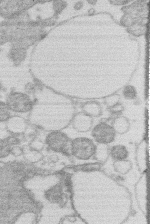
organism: Human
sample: Macrophage cells